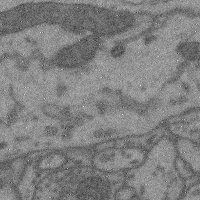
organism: Mouse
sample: Cerebral cortex